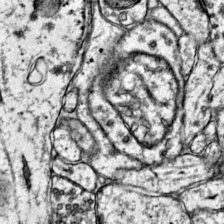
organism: Mouse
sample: Primary visual cortex